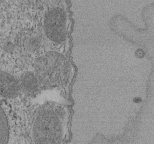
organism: Tetrahymena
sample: Cilia in tetrahymena